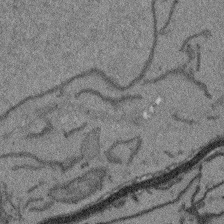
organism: Arabidopsis thaliana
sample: Root tip